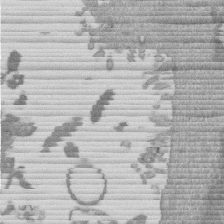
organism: Mouse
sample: Dividing mouse embryo 1 cell stage